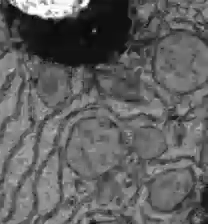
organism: C57BL Mouse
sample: Liver